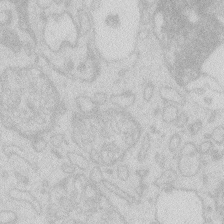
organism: Zebrafish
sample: Macrophage